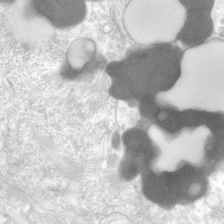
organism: Human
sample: Neocortex